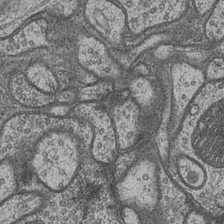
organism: Drosophila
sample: Optic medulla